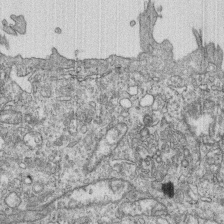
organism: Human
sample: HeLa cell HIV synapse